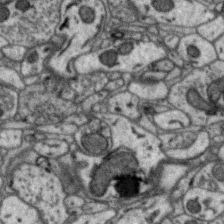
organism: Zebra finch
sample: Brain